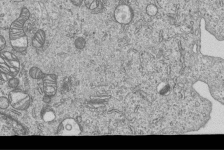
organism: Human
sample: MDA-MB-231 cells